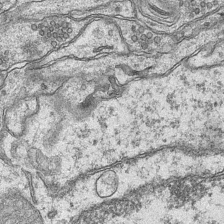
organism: Mouse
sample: CA1 Hippocampus